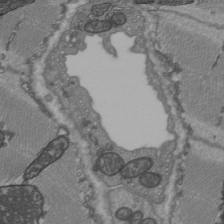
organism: C57BL Mouse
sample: Heart